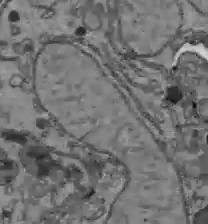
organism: C57BL Mouse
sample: Liver